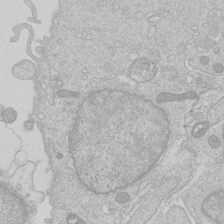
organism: Human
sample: Macrophage cells